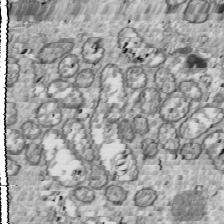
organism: Drosophila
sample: Cell division; meiosis; drosophila spermatocytes